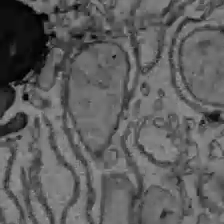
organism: C57BL Mouse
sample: Liver